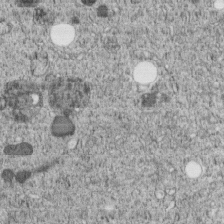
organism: C. elegans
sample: C. elegans embryo early stage